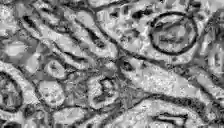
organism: Zebrafish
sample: Brain